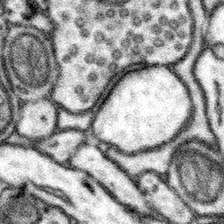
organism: Mouse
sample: Somatosensory cortex neuropil